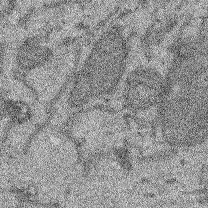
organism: Human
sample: HeLa cells